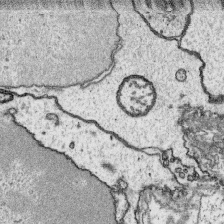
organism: Platynereis dumerilii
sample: Parapodia